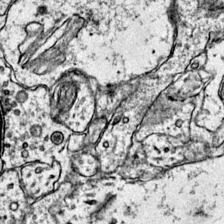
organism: Mouse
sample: Primary visual cortex